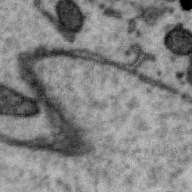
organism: Zebra finch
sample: Brain